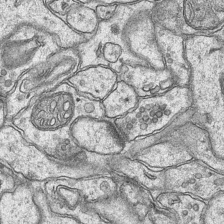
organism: Mouse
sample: CA1 Hippocampus